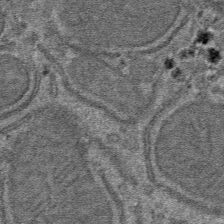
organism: Mouse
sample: Mouse hepatocytes